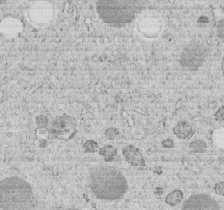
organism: C. elegans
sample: C. elegans embryo early stage